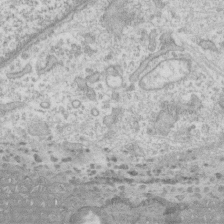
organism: Human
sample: CRL-1474